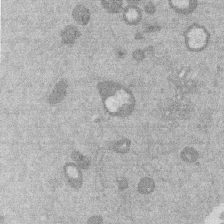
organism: Mouse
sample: Dividing mouse embryo 1 cell stage